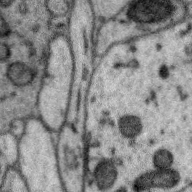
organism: Zebra finch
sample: Brain